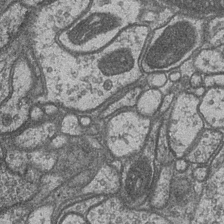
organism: Drosophila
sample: Optic medulla